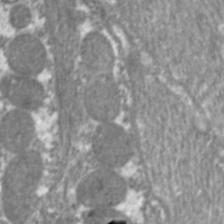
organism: C. elegans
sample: Pharynx